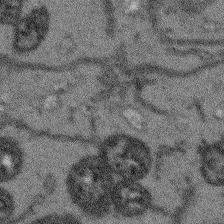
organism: Arabidopsis thaliana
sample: Root tip